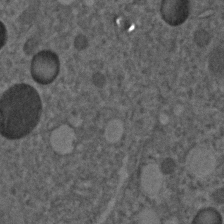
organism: C. elegans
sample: C. elegans embryo